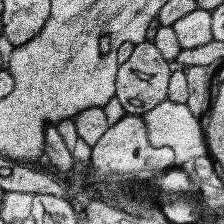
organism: Human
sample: Temporal Lobe